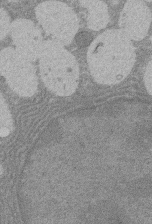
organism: Rat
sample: Salivary granule